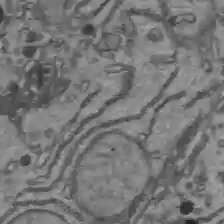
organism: C57BL Mouse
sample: Liver